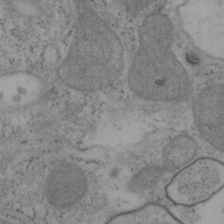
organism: Mouse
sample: OT-I killer T cells with ID8 ovarian cancer cells